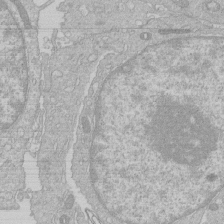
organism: Human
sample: Macrophage cells